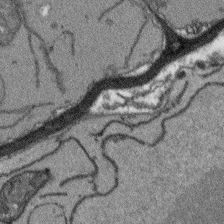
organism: Arabidopsis thaliana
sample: Root tip